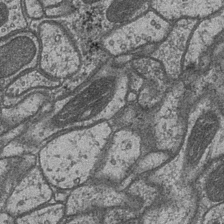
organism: Drosophila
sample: Optic medulla